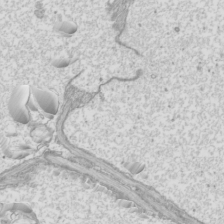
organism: Mouse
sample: Cilia; mouse epididymis